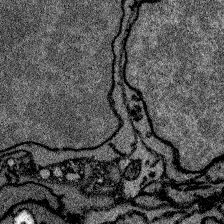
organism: Zebrafish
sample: Larval olfactory bulb